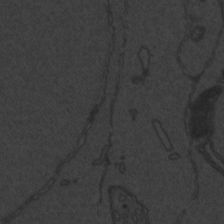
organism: Zebrafish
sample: Macrophage infected with Toxoplasma gondii